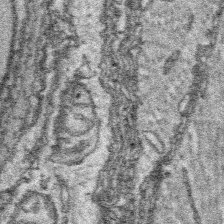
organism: Platynereis dumerilii